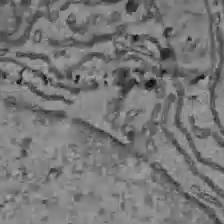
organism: C57BL Mouse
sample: Liver